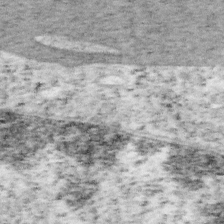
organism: Mouse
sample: OT-I killer T cells with ID8 ovarian cancer cells